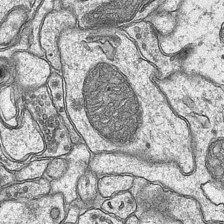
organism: Mouse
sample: CA1 Hippocampus